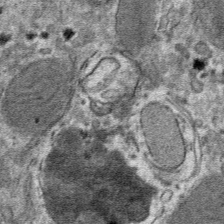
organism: Mouse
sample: Mouse hepatocytes